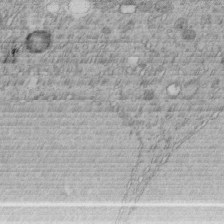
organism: C. elegans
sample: C. elegans embryo early stage